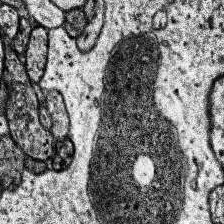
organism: Human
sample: Temporal Lobe